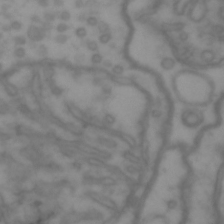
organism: Drosophila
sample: Brain